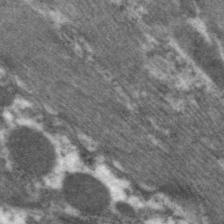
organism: C. elegans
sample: Pharynx